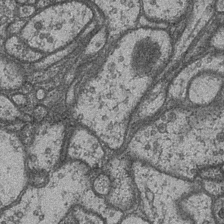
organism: Drosophila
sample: Optic medulla